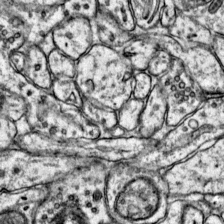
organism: Mouse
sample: Primary visual cortex